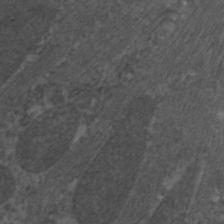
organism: C. elegans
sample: Pharynx